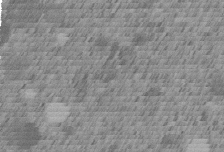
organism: C. elegans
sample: C. elegans embryo early stage